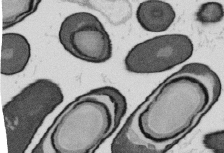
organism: B. subtilis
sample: Bacterial spore